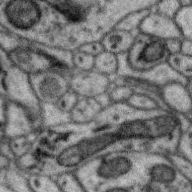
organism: Zebra finch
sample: Brain